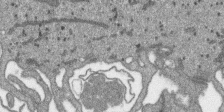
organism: Human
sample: Lung epithelial cells infected with SARS-CoV-2